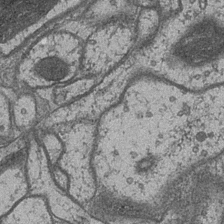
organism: Drosophila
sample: Optic medulla